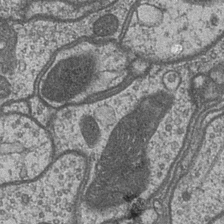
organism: Drosophila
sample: Optic medulla